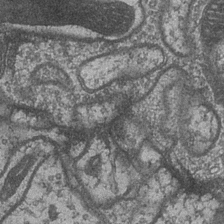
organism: Drosophila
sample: Optic medulla